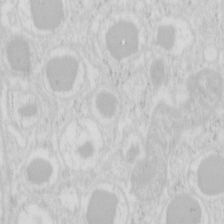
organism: Mouse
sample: Pancreas